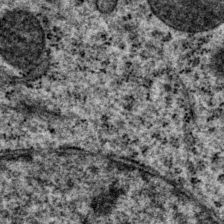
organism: P. pacificus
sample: Pharynx